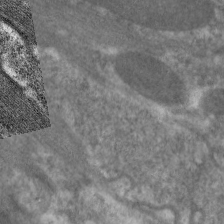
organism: C. elegans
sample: Pharynx